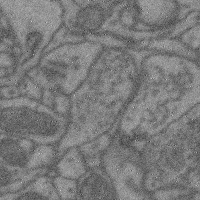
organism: Mouse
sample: Cerebral cortex